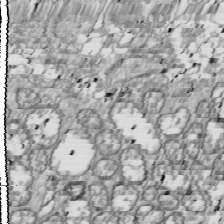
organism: Drosophila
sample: Cell division; meiosis; drosophila spermatocytes